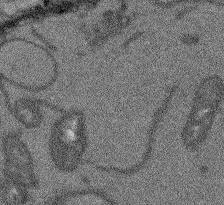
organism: Arabidopsis thaliana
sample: Root tip